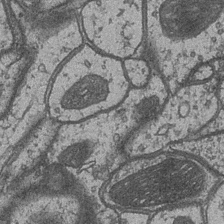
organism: Drosophila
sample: Optic medulla